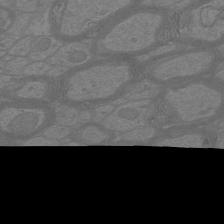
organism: Mouse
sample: Cortical neurons